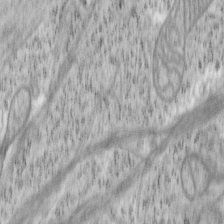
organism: Human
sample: HeLa cells